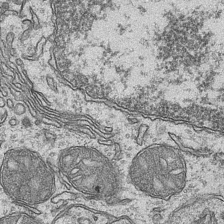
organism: Mouse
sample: CA1 Hippocampus